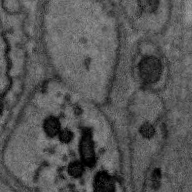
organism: Zebra finch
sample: Brain